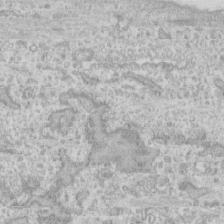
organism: Human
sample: CRL-1474